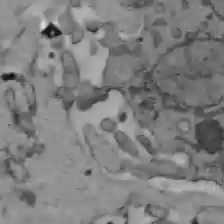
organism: C57BL Mouse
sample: Liver